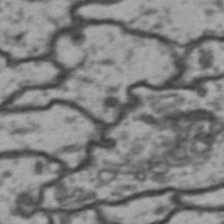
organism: Drosophila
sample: Brain